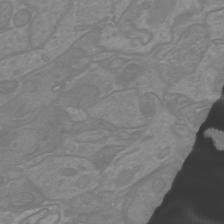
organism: Mouse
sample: Cortical neurons